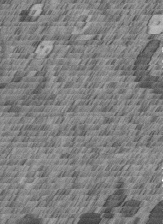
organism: C. elegans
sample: C. elegans embryo early stage